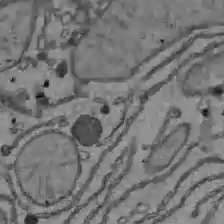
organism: C57BL Mouse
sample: Liver